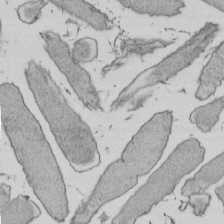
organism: E. coli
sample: Bacterial nucleoid